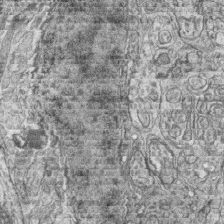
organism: Zebrafish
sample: synaptic ribbons in rod cells and cone cells